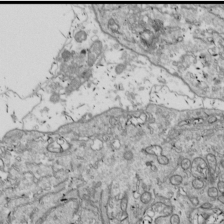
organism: Drosophila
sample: Cell division; meiosis; drosophila spermatocytes